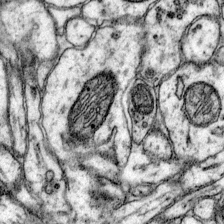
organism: Mouse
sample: Primary visual cortex